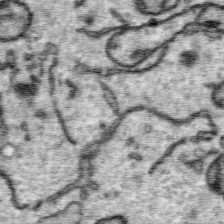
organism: Human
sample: HeLa cells